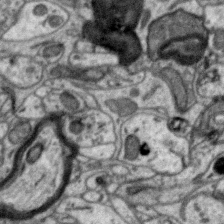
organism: Zebra finch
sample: Brain